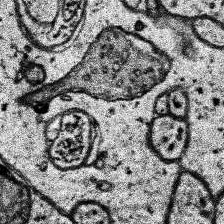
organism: Human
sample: Temporal Lobe